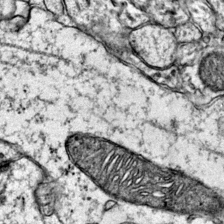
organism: Mouse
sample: Primary visual cortex